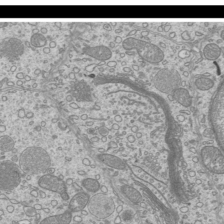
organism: Mouse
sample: Cilia; mouse epididymis